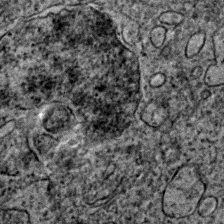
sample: Trachea